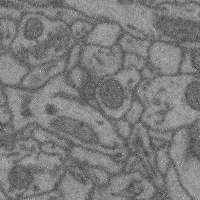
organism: Mouse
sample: Cerebral cortex